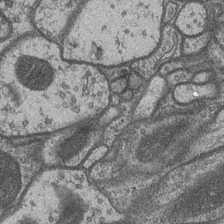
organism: Drosophila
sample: Optic medulla